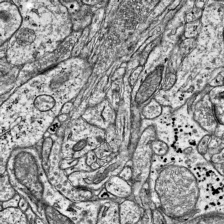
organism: Mouse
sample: Visual Cortex